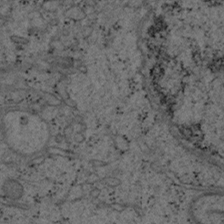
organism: Human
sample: HeLa cells